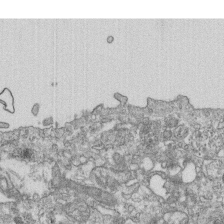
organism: Human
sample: HeLa cell HIV synapse